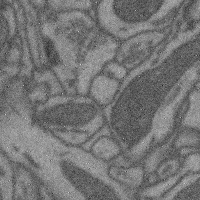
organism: Mouse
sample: Cerebral cortex